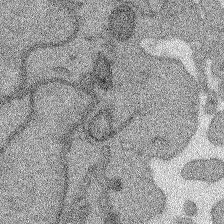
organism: Human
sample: HeLa cells